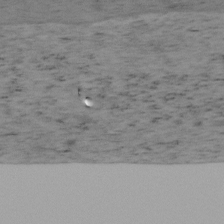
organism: Mouse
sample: OT-I killer T cells with ID8 ovarian cancer cells